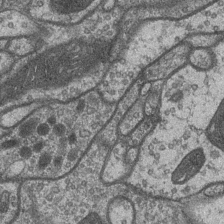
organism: Drosophila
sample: Optic medulla